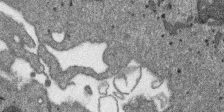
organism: Human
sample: Lung epithelial cells infected with SARS-CoV-2